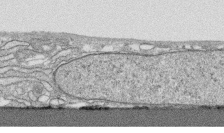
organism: Human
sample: CRL-1474